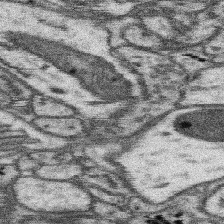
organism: Mouse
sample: Somatosensory cortex neuropil